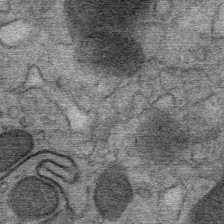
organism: Mouse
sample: Mouse Salivary gland